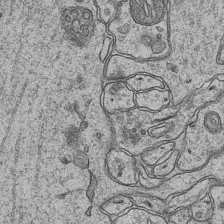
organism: Mouse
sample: CA1 Hippocampus